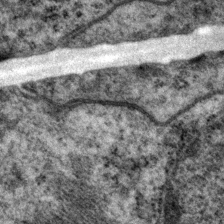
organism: P. pacificus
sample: Pharynx